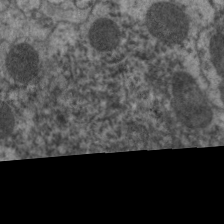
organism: C. elegans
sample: Pharynx